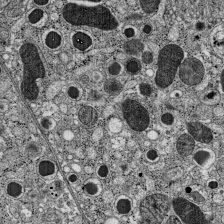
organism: C57BL Mouse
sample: Pancreatic islet